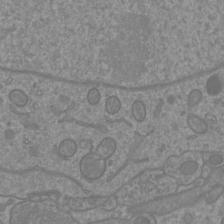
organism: Mouse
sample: Cortical neurons